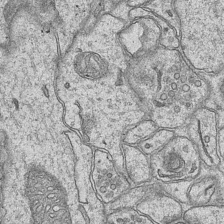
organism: Mouse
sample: CA1 Hippocampus